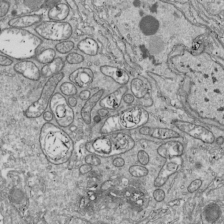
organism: Drosophila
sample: Cell division; meiosis; drosophila spermatocytes